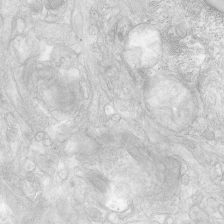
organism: Human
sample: Neocortex